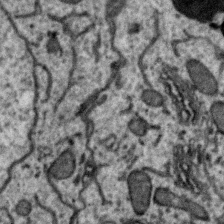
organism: Zebra finch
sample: Brain